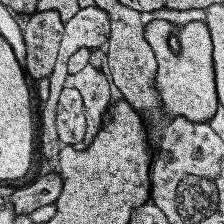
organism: Human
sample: Temporal Lobe